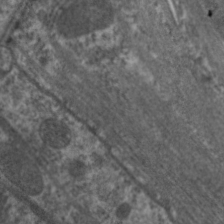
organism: C. elegans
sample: Pharynx